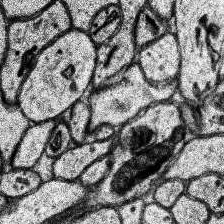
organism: Human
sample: Temporal Lobe